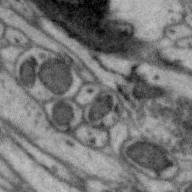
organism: Zebra finch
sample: Brain